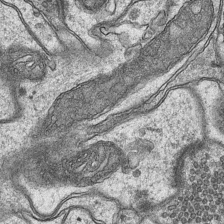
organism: Mouse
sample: CA1 Hippocampus